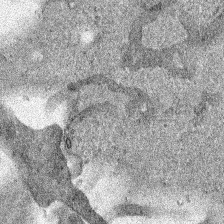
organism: Human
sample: Mitochondria in HCT116 cells